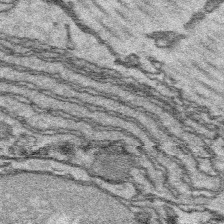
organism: Platynereis dumerilii